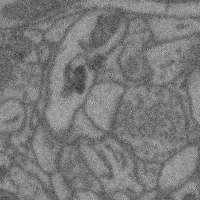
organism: Mouse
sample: Cerebral cortex